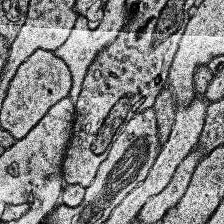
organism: Human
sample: Temporal Lobe